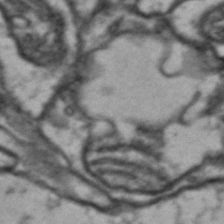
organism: Drosophila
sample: Brain